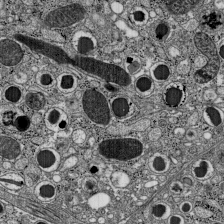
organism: C57BL Mouse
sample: Pancreatic islet